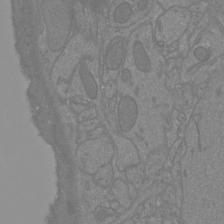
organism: Mouse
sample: Cortical neurons